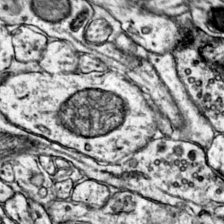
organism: Mouse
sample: Primary visual cortex